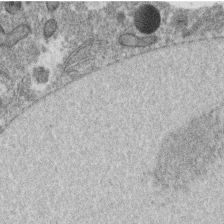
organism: C. elegans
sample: C. elegans oocyte; sperm cells